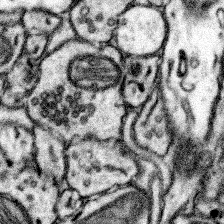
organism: Mouse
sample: Somatosensory cortex neuropil